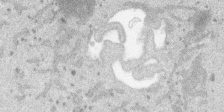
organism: Human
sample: Lung epithelial cells infected with SARS-CoV-2